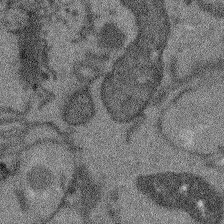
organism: Arabidopsis thaliana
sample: Root tip